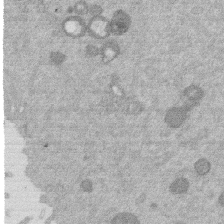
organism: Mouse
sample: Dividing mouse embryo 1 cell stage